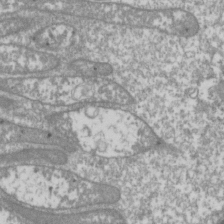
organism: Drosophila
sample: Cell division; meiosis; drosophila spermatocytes